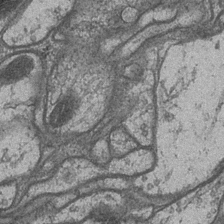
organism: Drosophila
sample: Optic medulla